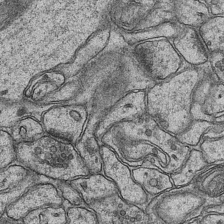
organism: Mouse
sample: CA1 Hippocampus